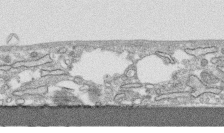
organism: Human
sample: CRL-1474